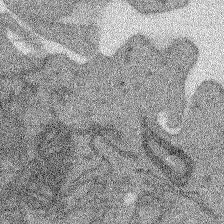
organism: Human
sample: HeLa cells